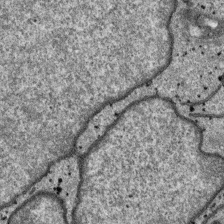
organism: Human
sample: Lung epithelial cells, uninfected (mock) control